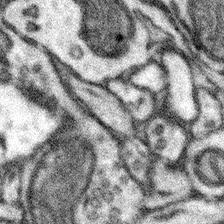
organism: Mouse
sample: Somatosensory cortex neuropil